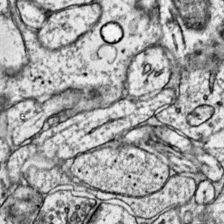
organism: Mouse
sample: Primary visual cortex